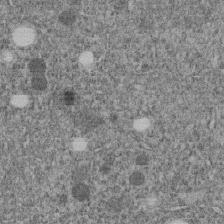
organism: C. elegans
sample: C. elegans embryo early stage